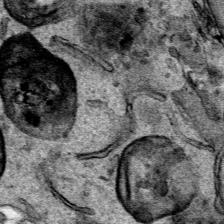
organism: Human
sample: Mitochondria in HCT116 cells